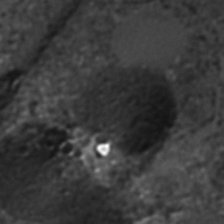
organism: C. elegans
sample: C. elegans embryo